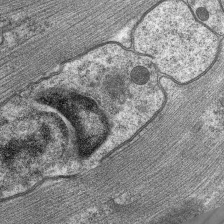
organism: C. elegans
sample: Pharynx